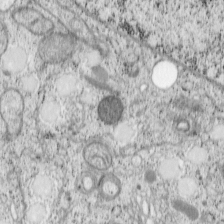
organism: African green monkey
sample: COS-7 cells